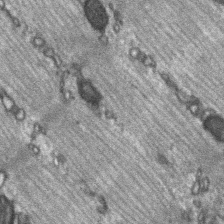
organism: C57BL Mouse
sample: Soleus